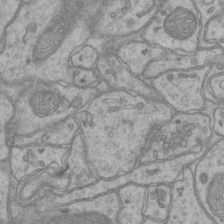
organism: Mouse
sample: CA1 Hippocampus